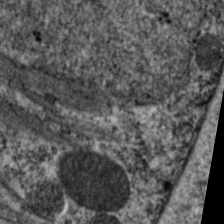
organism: C. elegans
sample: Pharynx